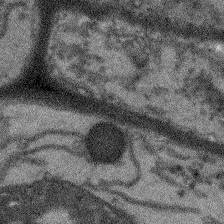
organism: Arabidopsis thaliana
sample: Root tip